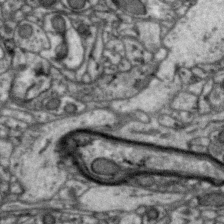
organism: Zebra finch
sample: Brain